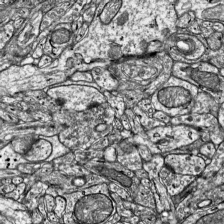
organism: Mouse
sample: Visual Cortex